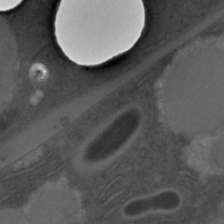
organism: C. elegans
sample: C. elegans embryo